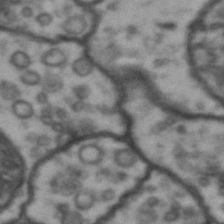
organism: Drosophila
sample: Brain